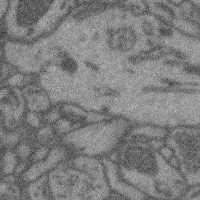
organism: Mouse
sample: Cerebral cortex